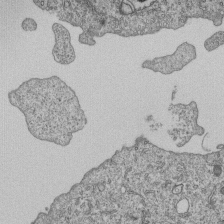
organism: Human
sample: MDA-MB-231 cells